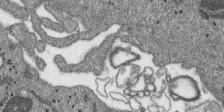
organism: Human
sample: Lung epithelial cells infected with SARS-CoV-2